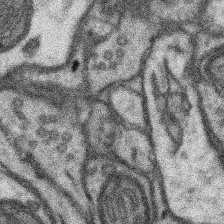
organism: Mouse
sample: Somatosensory cortex neuropil